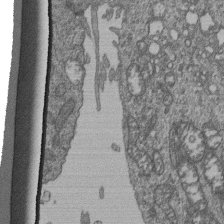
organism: Human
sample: Retinal organoid Rod and Cone cells